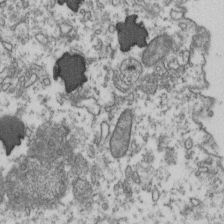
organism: Human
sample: Activated Jurkat CD4+ T cells